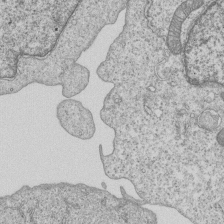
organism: Human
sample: MDA-MB-231 cells